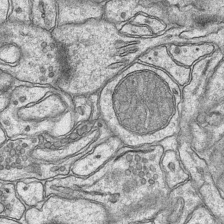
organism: Mouse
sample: CA1 Hippocampus